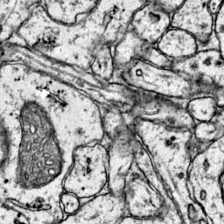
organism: Mouse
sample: Primary visual cortex